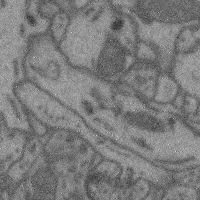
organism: Mouse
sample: Cerebral cortex